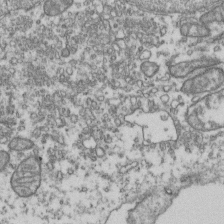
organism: Human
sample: Activated Jurkat CD4+ T cells